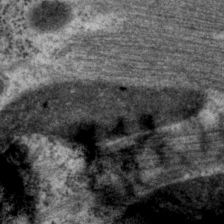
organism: P. pacificus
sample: Pharynx